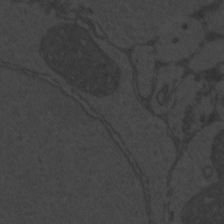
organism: Zebrafish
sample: Macrophage infected with Toxoplasma gondii